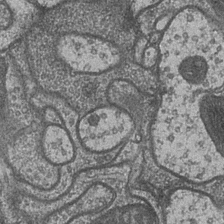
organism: Drosophila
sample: Optic medulla